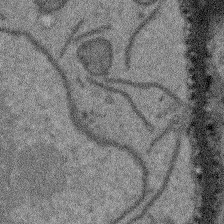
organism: Arabidopsis thaliana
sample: Root tip